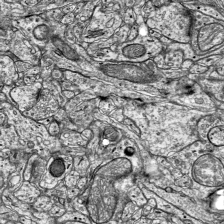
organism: Mouse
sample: Visual Cortex